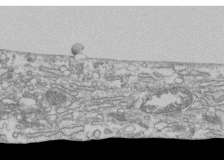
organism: Human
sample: Fibroblast cells